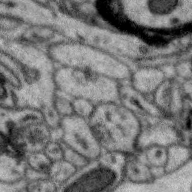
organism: Zebra finch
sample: Brain